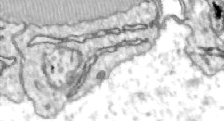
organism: Zebrafish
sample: Actinotrichia fibers